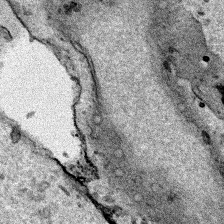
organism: Human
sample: Mitochondria in HCT116 cells